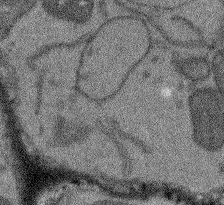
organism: Arabidopsis thaliana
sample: Root tip